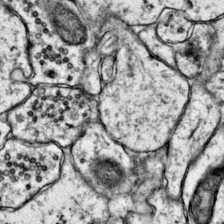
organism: Mouse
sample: Primary visual cortex